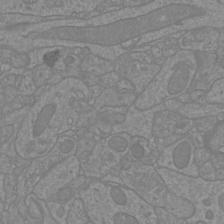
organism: Mouse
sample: Cortical neurons